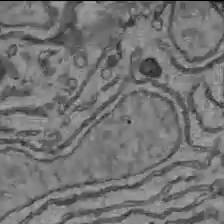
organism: C57BL Mouse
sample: Liver